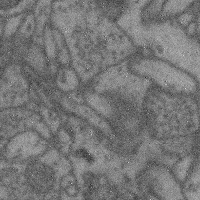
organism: Mouse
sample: Cerebral cortex